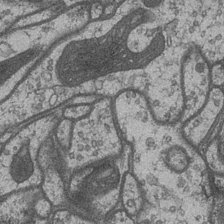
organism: Drosophila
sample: Optic medulla